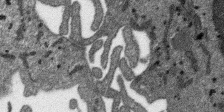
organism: Human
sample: Lung epithelial cells infected with SARS-CoV-2